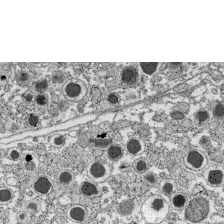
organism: C57BL Mouse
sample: Pancreatic islet